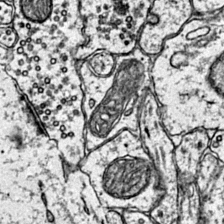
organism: Mouse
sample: Primary visual cortex